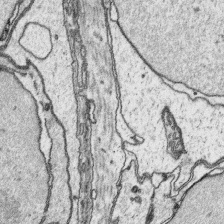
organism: Platynereis dumerilii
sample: Parapodia